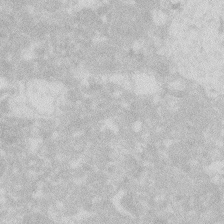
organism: Zebrafish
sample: Macrophage